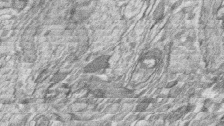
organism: Zebrafish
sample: synaptic ribbons in rod cells and cone cells